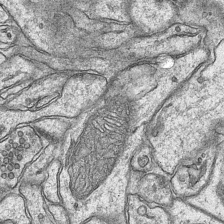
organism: Mouse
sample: CA1 Hippocampus